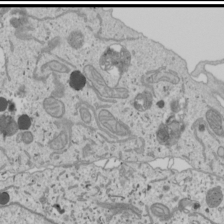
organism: Human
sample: Mitochondria in U2OS cells